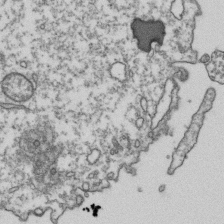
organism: Human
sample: Activated Jurkat CD4+ T cells